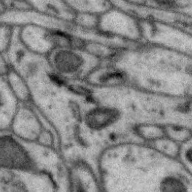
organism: Zebra finch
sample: Brain